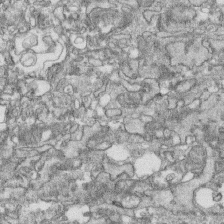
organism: Human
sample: CRL-1474